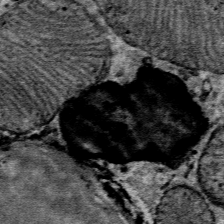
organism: Mouse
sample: Mouse Salivary gland